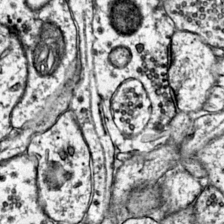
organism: Mouse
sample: Primary visual cortex